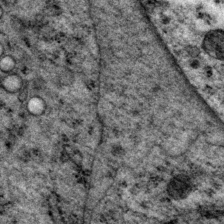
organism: P. pacificus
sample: Pharynx